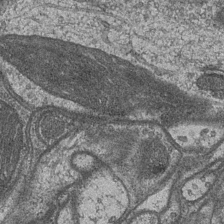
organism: Drosophila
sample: Optic medulla